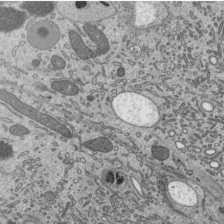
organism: Mouse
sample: Mouse epididymis efferent ductule cilia